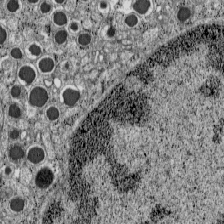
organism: C57BL Mouse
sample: Pancreatic islet